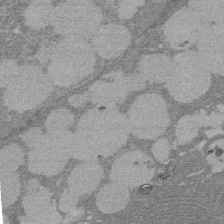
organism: Rat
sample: Salivary granule